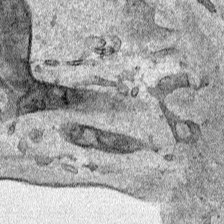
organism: Human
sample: Mitochondria in HCT116 cells